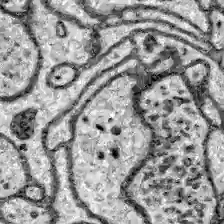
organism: Zebrafish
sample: Brain